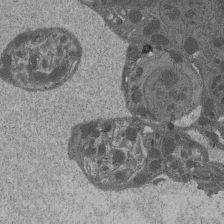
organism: Drosophila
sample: Antenna